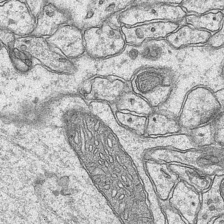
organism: Mouse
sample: CA1 Hippocampus